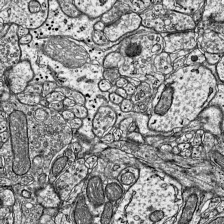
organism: Mouse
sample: Visual Cortex